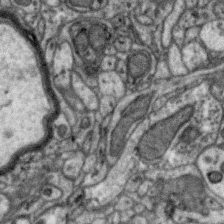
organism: Zebra finch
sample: Brain